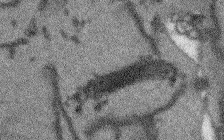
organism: Arabidopsis thaliana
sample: Root tip